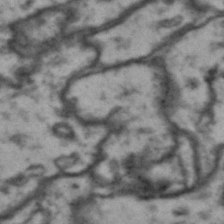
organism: Drosophila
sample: Brain